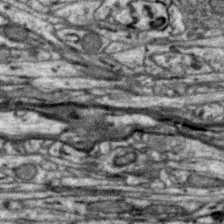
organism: Zebra finch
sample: Brain